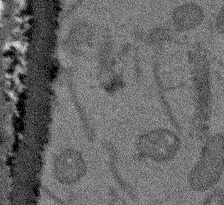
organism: Arabidopsis thaliana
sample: Root tip